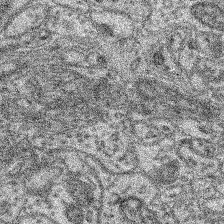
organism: Mouse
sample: Retina